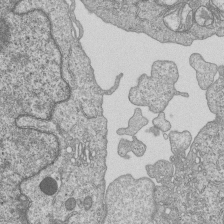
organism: Human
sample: MDA-MB-231 cells